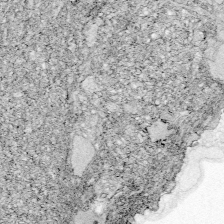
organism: Zebrafish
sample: Whole-Brain